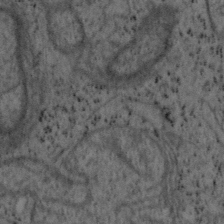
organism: Human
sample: HeLa cells